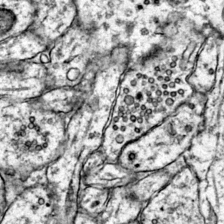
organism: Mouse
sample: Primary visual cortex